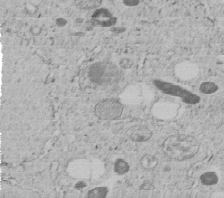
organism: C. elegans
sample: C. elegans embryo early stage